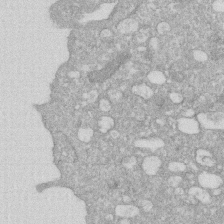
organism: Human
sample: HIV infected U937 cells